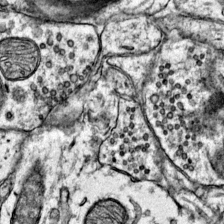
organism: Mouse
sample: Primary visual cortex